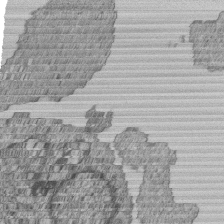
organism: Human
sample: MDA-MB-231 cells